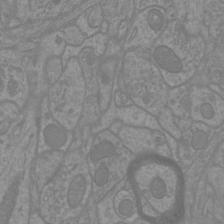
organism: Mouse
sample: Cortical neurons